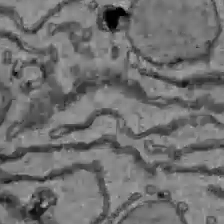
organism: C57BL Mouse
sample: Liver